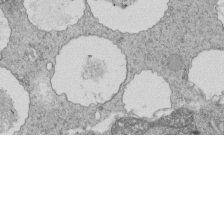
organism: Tetrahymena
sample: Cilia in tetrahymena